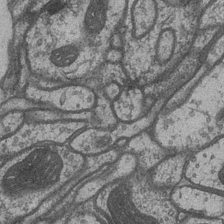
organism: Drosophila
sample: Optic medulla